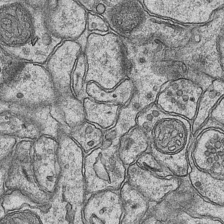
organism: Mouse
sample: CA1 Hippocampus